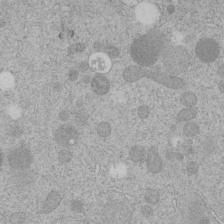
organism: C. elegans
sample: C. elegans embryo early stage